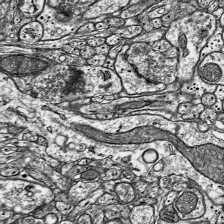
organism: Mouse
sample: Visual Cortex